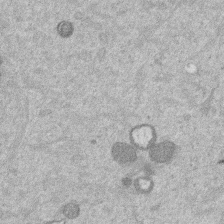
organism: Mouse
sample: Dividing mouse embryo 1 cell stage